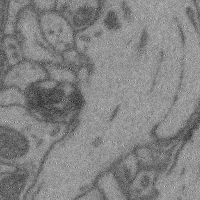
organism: Mouse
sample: Cerebral cortex